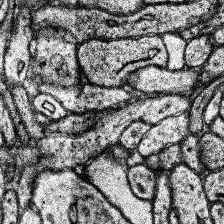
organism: Human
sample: Temporal Lobe